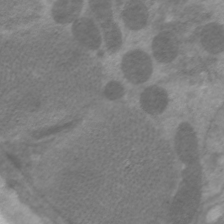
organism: C. elegans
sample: Pharynx